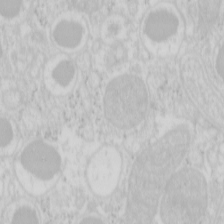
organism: Mouse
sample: Pancreas